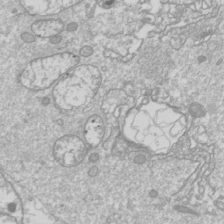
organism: Drosophila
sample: Cell division; meiosis; drosophila spermatocytes